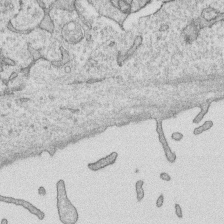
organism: Human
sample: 1205lu cells